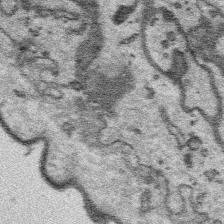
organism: Platynereis dumerilii